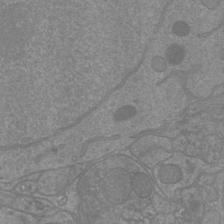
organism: Mouse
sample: Cortical neurons